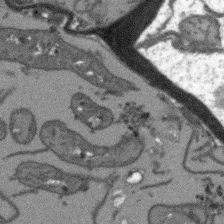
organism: Arabidopsis thaliana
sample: Root tip